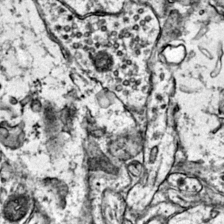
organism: Mouse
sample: Primary visual cortex